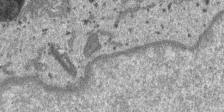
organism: Human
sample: Lung epithelial cells infected with SARS-CoV-2